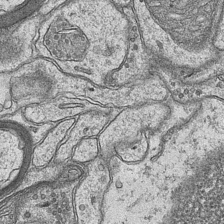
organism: Mouse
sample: CA1 Hippocampus